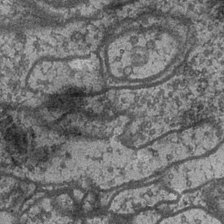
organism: Drosophila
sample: Optic medulla